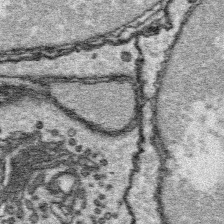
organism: Platynereis dumerilii